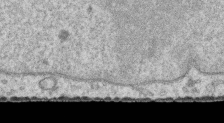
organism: Human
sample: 1205lu cells